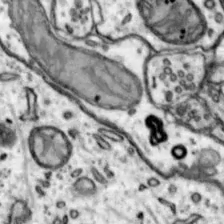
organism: Mouse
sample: Nucleus accumbens